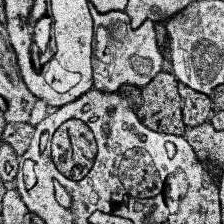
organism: Human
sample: Temporal Lobe